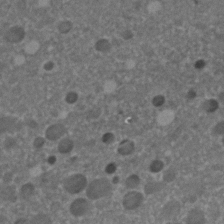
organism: C. elegans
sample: C. elegans embryo